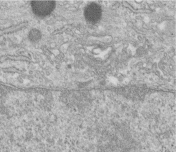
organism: Human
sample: Centriole in fibroblast cells